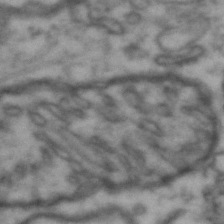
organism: Drosophila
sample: Brain